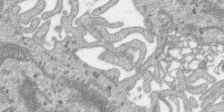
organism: Human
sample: Lung epithelial cells infected with SARS-CoV-2